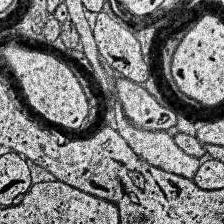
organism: Human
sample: Temporal Lobe